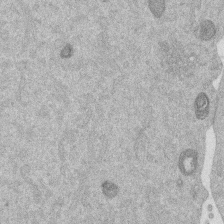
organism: Mouse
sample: Dividing mouse embryo 1 cell stage